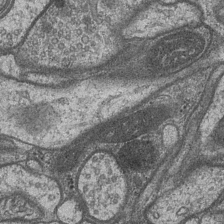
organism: Drosophila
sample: Optic medulla